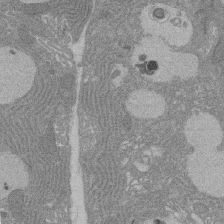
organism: Rat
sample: Salivary granule